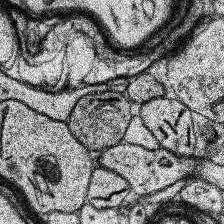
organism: Human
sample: Temporal Lobe